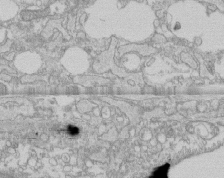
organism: Human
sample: CRL-1474